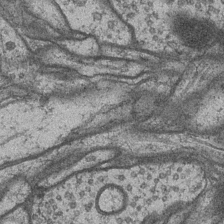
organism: Drosophila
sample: Optic medulla